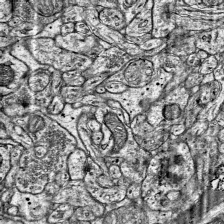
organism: Mouse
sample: Visual Cortex